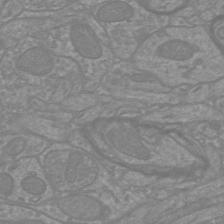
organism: Mouse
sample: Cortical neurons